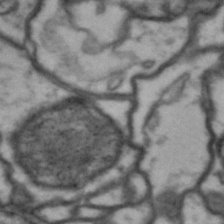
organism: Drosophila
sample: Brain